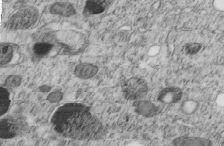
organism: C. elegans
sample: C. elegans embryo early stage